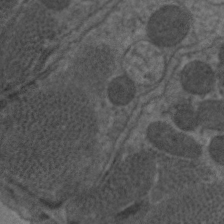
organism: C. elegans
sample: Pharynx